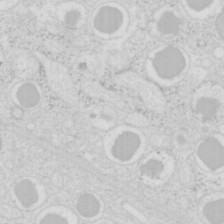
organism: Mouse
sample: Pancreas